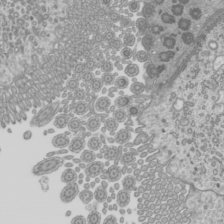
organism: Mouse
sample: Cilia; mouse epididymis